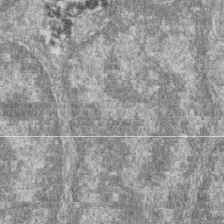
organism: Zebrafish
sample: Cilia; retinal pigment epithelium